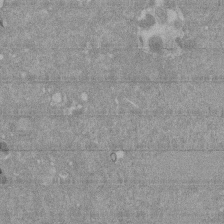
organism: Mouse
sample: ED-1 cell nuclei; centrioles